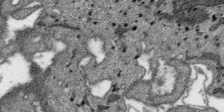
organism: Human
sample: Lung epithelial cells, uninfected (mock) control